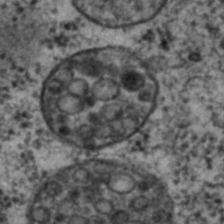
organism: C. elegans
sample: C. elegans embryo